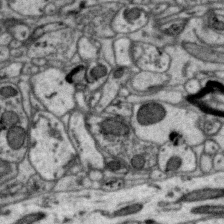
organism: Zebra finch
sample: Brain